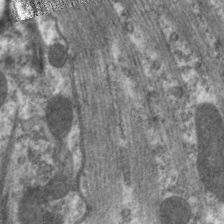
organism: C. elegans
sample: Pharynx